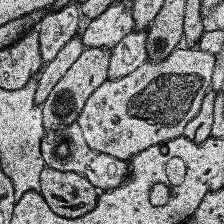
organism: Human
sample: Temporal Lobe